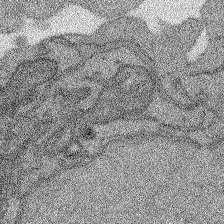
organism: Human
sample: HeLa cells